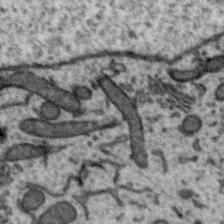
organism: Zebra finch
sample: Brain